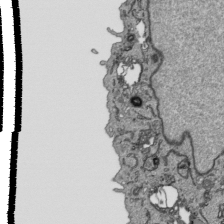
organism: Human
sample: Mitochondria in HCT116 cells